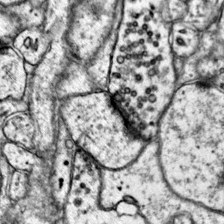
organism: Mouse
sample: Primary visual cortex